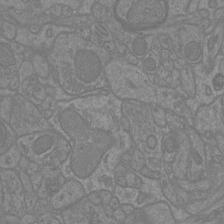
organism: Mouse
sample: Cortical neurons